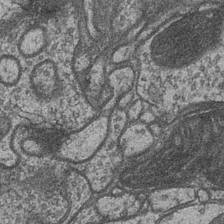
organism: Drosophila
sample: Optic medulla